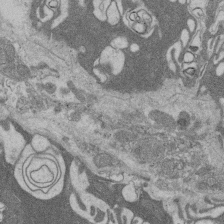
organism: Rat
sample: Salivary granule